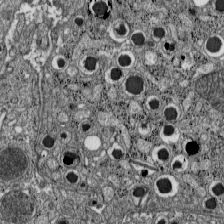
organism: C57BL Mouse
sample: Pancreatic islet